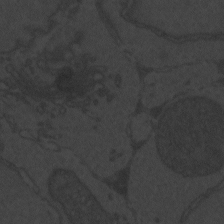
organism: Zebrafish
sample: Macrophage infected with Toxoplasma gondii